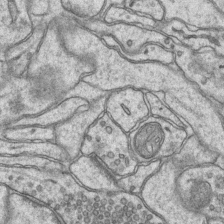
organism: Mouse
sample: CA1 Hippocampus